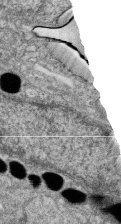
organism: Zebrafish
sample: Cilia; retinal pigment epithelium